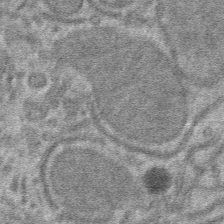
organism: Mouse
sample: Mouse hepatocytes